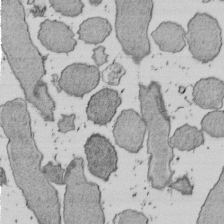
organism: E. coli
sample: Bacterial nucleoid